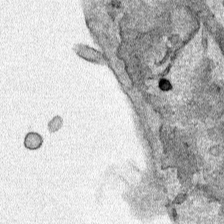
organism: Human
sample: Mitochondria in HCT116 cells